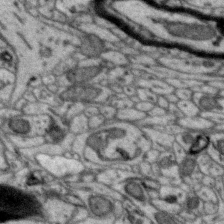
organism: Zebra finch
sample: Brain